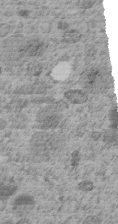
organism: C. elegans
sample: C. elegans embryo early stage